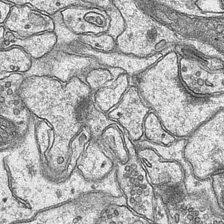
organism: Mouse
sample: CA1 Hippocampus